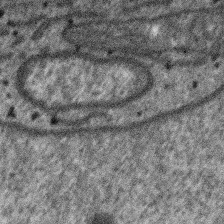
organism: Human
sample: Lung epithelial cells infected with SARS-CoV-2